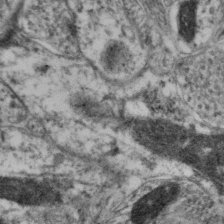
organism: Mouse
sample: Neocortex